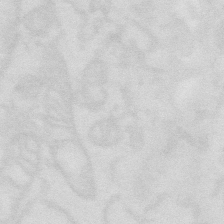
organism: Human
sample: HeLa cells